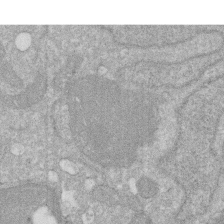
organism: Human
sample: HIV infected U937 cells